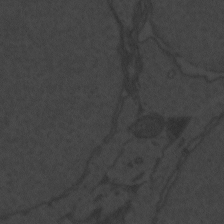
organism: Zebrafish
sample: Macrophage infected with Toxoplasma gondii